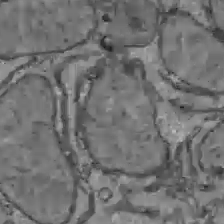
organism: C57BL Mouse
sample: Liver